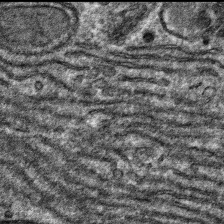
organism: Mouse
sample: Mouse hepatocytes